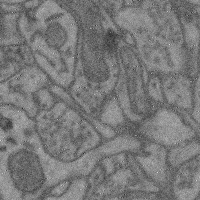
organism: Mouse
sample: Cerebral cortex